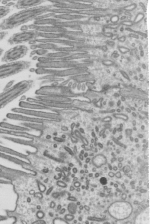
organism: Mouse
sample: Mouse epididymis efferent ductule cilia